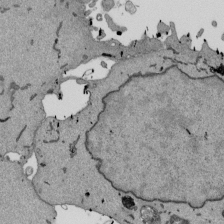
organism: Mouse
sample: ED-1 cell nuclei; centrioles